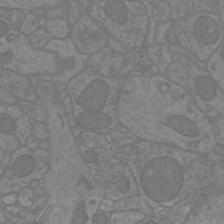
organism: Mouse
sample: Cortical neurons